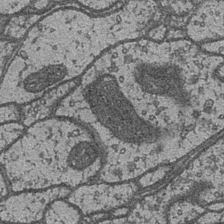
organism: Drosophila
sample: Optic medulla